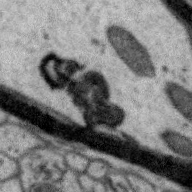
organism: Zebra finch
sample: Brain